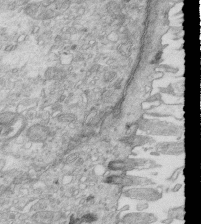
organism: Mouse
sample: Multiciliated cells